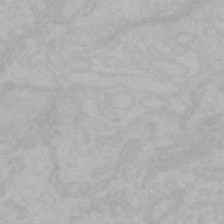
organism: Mouse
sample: Choroid plexus